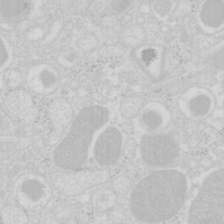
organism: Mouse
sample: Pancreas